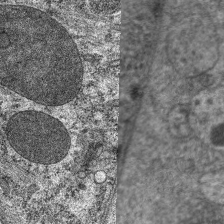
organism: C. elegans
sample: Pharynx